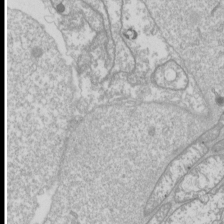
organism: Drosophila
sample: Cell division; meiosis; drosophila spermatocytes